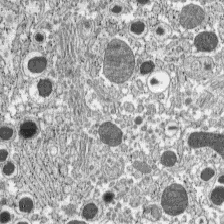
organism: C57BL Mouse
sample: Pancreatic islet